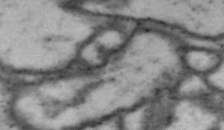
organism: Drosophila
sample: Brain